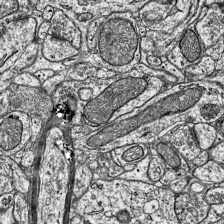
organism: Mouse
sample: Visual Cortex